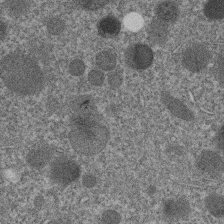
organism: C. elegans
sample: C. elegans embryo early stage